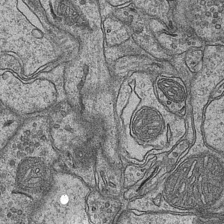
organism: Mouse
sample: CA1 Hippocampus